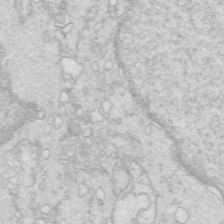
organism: Mouse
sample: Multiciliated cells